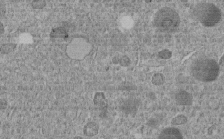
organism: C. elegans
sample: C. elegans embryo early stage